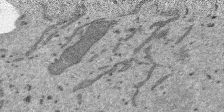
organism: Human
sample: Lung epithelial cells infected with SARS-CoV-2